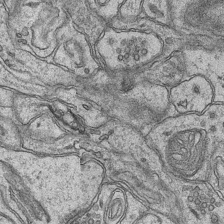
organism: Mouse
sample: CA1 Hippocampus